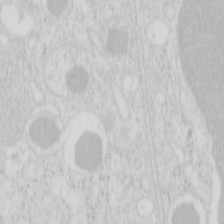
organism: Mouse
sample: Pancreas